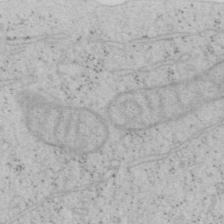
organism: Human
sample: HeLa cells